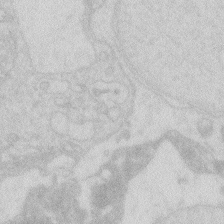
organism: Zebrafish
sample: Macrophage